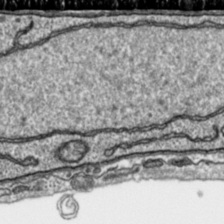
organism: Toxoplasma gondii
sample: Parasites in a vacuole inside a host cell